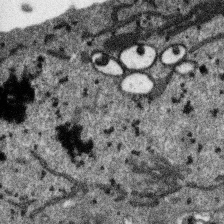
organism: Human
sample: Lung epithelial cells infected with SARS-CoV-2